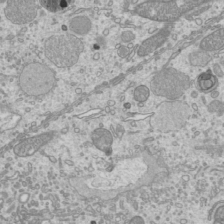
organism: Mouse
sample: Cilia; mouse epididymis